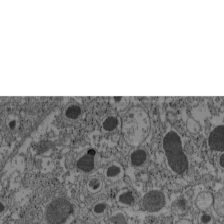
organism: C57BL Mouse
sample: Pancreatic islet